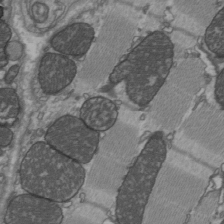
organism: C57BL Mouse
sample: Heart